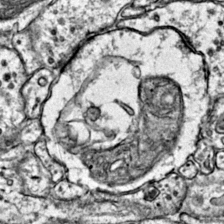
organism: Mouse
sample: Primary visual cortex